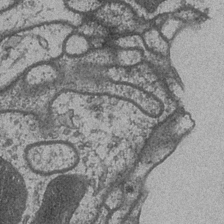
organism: Drosophila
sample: Optic medulla